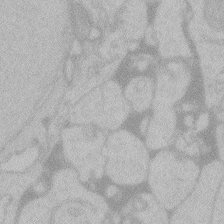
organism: Zebrafish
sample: Macrophage infected with Toxoplasma gondii